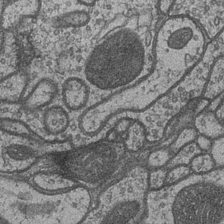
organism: Drosophila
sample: Optic medulla